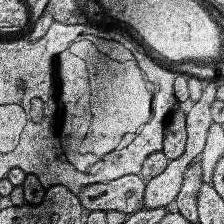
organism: Human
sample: Temporal Lobe